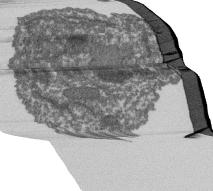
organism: Dictyostelium discoideum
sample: Dictyostelium multivesicular bodies